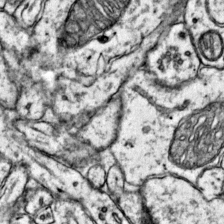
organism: Mouse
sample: Primary visual cortex